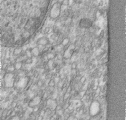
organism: Human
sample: Centriole in RPE cells